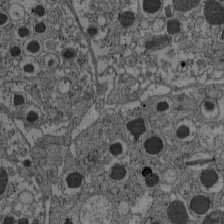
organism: C57BL Mouse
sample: Pancreatic islet